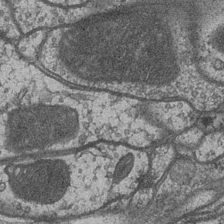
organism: Drosophila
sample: Optic medulla